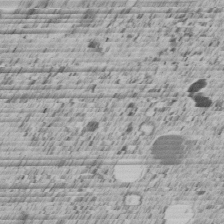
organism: C. elegans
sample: C. elegans embryo early stage